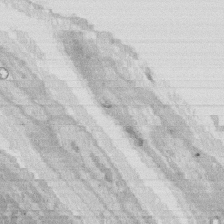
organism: Rat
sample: Salivary granule